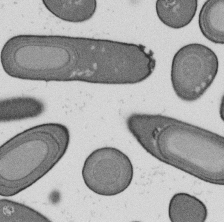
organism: B. subtilis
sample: Bacterial spore